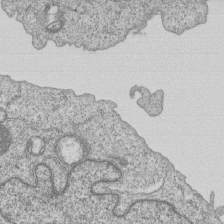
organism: Human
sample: MDA-MB-231 cells